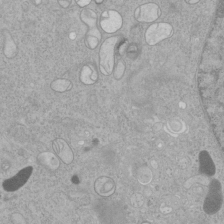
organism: Human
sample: Mitochondria in HCT116 cells